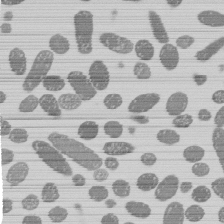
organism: E. coli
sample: Bacterial nucleoid